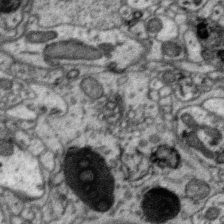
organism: Zebra finch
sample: Brain